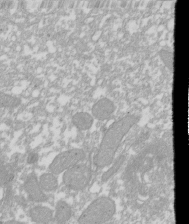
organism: Xenopus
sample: Cilia; centrioles in frog embryo cells